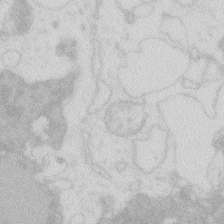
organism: Zebrafish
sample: Macrophage